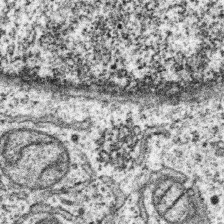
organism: Human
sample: HeLa cells